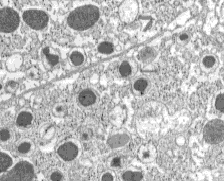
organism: C57BL Mouse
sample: Pancreatic islet